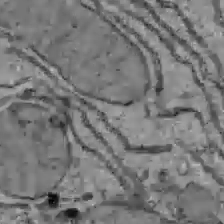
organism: C57BL Mouse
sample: Liver